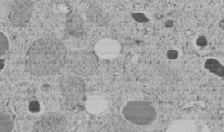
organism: C. elegans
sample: C. elegans embryo early stage